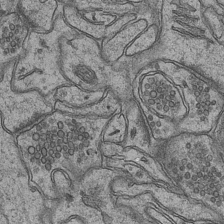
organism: Mouse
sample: CA1 Hippocampus